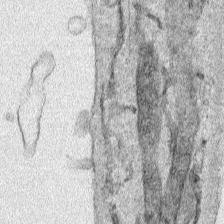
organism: Human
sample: Mitochondria in HCT116 cells